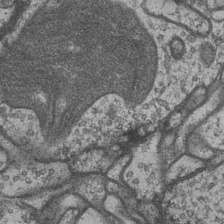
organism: Drosophila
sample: Optic medulla